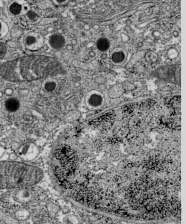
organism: C57BL Mouse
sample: Pancreatic islet